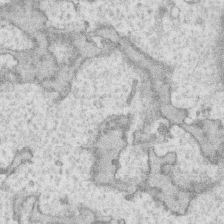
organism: Human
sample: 1205lu cells